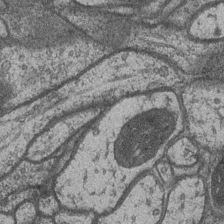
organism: Drosophila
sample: Optic medulla